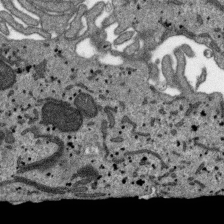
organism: Human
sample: Lung epithelial cells, uninfected (mock) control